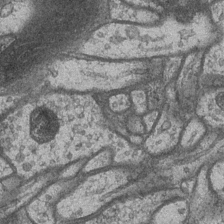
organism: Drosophila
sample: Optic medulla